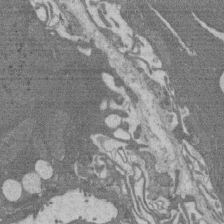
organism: Rat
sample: Salivary granule